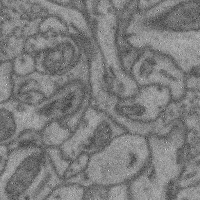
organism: Mouse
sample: Cerebral cortex